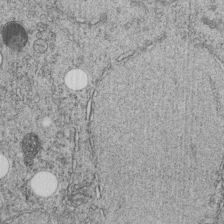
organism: C. elegans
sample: C. elegans embryo early stage